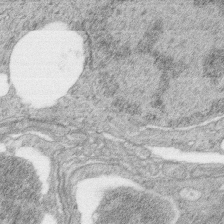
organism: Zebrafish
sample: synaptic ribbons in rod cells and cone cells